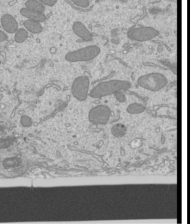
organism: Mouse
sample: Cilia; mouse epididymis